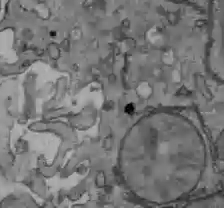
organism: C57BL Mouse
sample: Liver